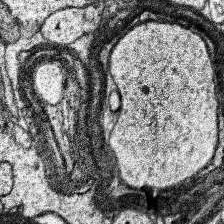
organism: Human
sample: Temporal Lobe